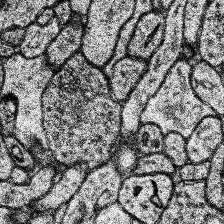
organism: Human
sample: Temporal Lobe